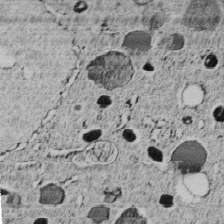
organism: C. elegans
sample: C. elegans embryo early stage